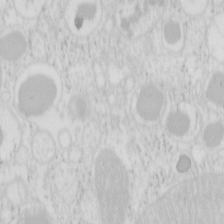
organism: Mouse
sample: Pancreas